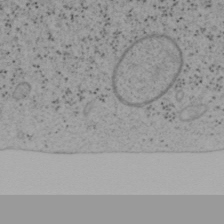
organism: Human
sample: HeLa cells